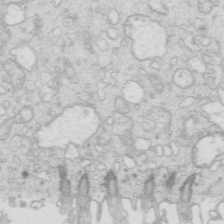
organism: Mouse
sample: Multiciliated cells